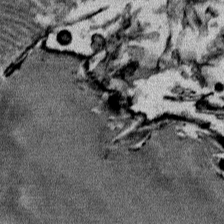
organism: Mouse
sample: Mouse Salivary gland